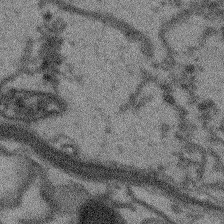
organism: Arabidopsis thaliana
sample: Root tip